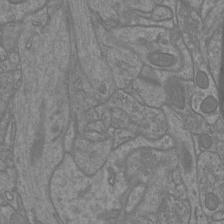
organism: Mouse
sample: Cortical neurons